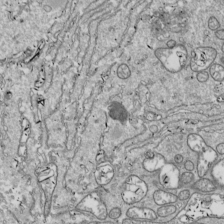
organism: Drosophila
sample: Cell division; meiosis; drosophila spermatocytes